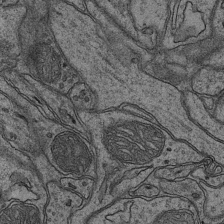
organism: Mouse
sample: CA1 Hippocampus